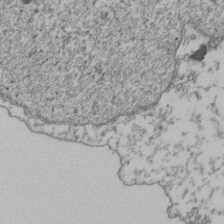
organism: Human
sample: Activated Jurkat CD4+ T cells